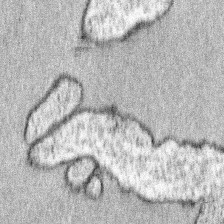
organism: Human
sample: HeLa cells